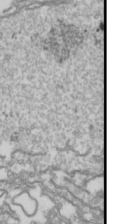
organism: Drosophila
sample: Cell division; meiosis; drosophila spermatocytes